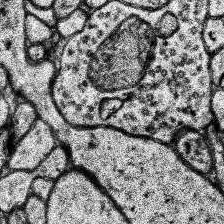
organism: Human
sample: Temporal Lobe